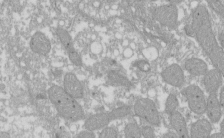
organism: Xenopus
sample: Cilia; centrioles in frog embryo cells